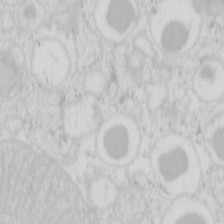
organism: Mouse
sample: Pancreas